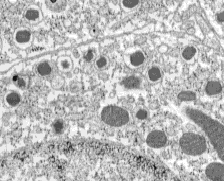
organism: C57BL Mouse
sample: Pancreatic islet